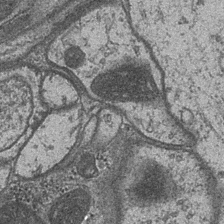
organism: Drosophila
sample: Optic medulla